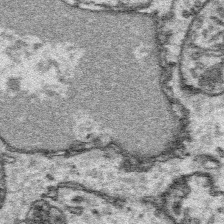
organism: Platynereis dumerilii